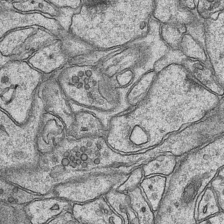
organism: Mouse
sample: CA1 Hippocampus